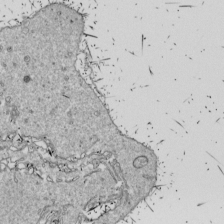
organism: Drosophila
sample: Cell division; meiosis; drosophila spermatocytes